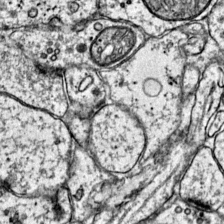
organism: Mouse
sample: Primary visual cortex